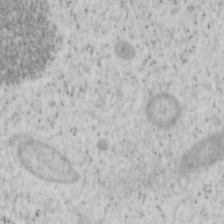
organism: Human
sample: HeLa cells